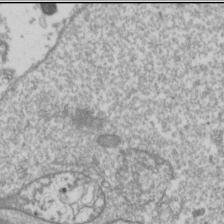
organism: Drosophila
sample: Cell division; meiosis; drosophila spermatocytes